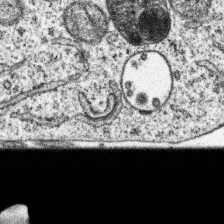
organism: Human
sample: HeLa cells